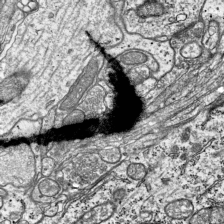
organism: Mouse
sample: Visual Cortex